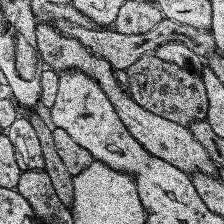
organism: Human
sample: Temporal Lobe